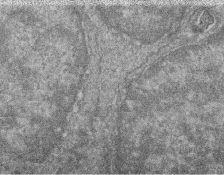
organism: Zebrafish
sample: Cilia; retinal pigment epithelium